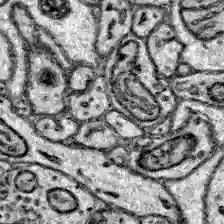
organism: Zebrafish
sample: Brain